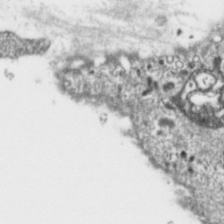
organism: Toxoplasma gondii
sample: Parasites in a vacuole inside a host cell